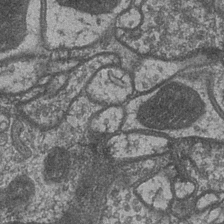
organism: Drosophila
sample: Optic medulla